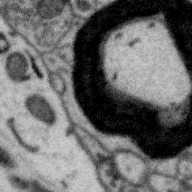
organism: Zebra finch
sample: Brain